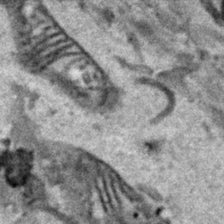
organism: Human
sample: Mitochondria in HCT116 cells